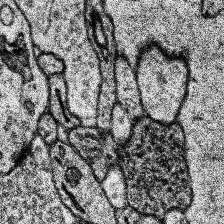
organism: Human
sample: Temporal Lobe